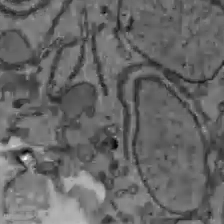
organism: C57BL Mouse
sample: Liver